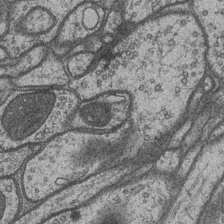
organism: Drosophila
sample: Optic medulla